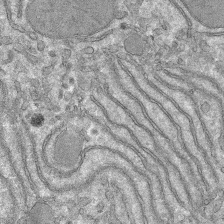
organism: Mouse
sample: Mouse hepatocytes